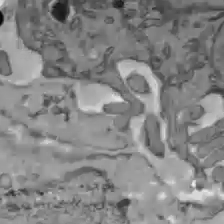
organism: C57BL Mouse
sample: Liver